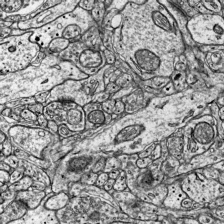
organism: Mouse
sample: Visual Cortex